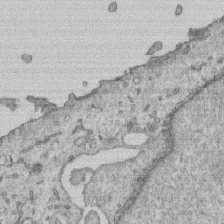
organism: Human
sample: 1205lu cells